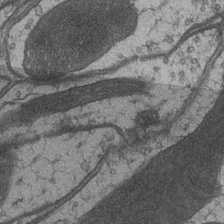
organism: Drosophila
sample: Optic medulla